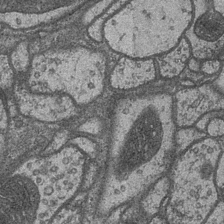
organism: Drosophila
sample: Optic medulla